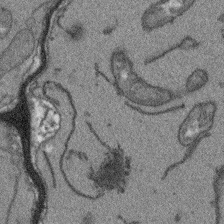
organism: Arabidopsis thaliana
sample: Root tip